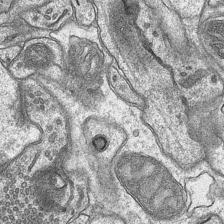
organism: Mouse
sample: CA1 Hippocampus